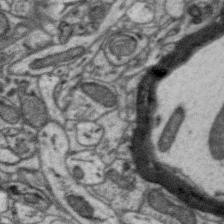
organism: Zebra finch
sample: Brain